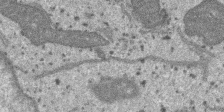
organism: Human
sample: Lung epithelial cells infected with SARS-CoV-2